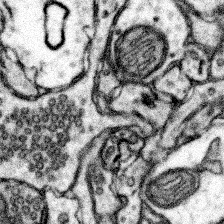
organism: Mouse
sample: Somatosensory cortex neuropil